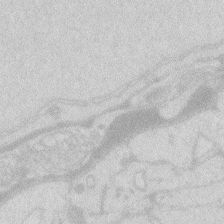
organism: Zebrafish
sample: Macrophage